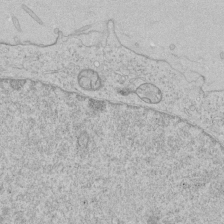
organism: Human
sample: Mitochondria in HCT116 cells